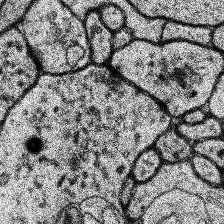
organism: Human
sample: Temporal Lobe